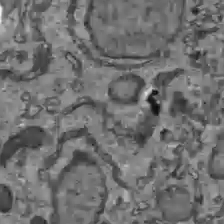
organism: C57BL Mouse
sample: Liver